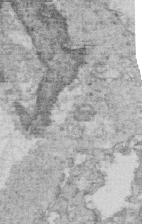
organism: Mouse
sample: Multiciliated cells